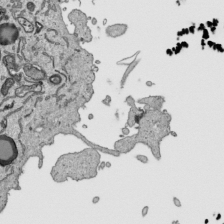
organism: Human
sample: Mitochondria in HCT116 cells